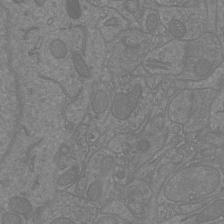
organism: Mouse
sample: Cortical neurons